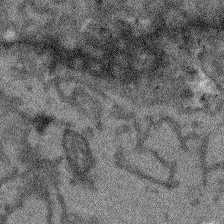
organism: Arabidopsis thaliana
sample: Root tip